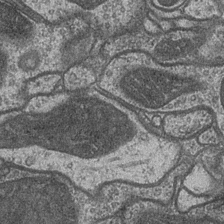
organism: Drosophila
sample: Optic medulla